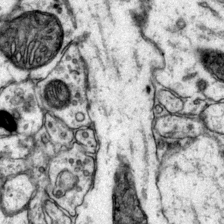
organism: Mouse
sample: Primary visual cortex